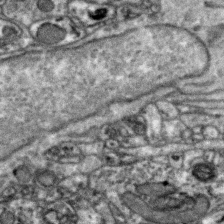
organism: Zebra finch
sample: Brain